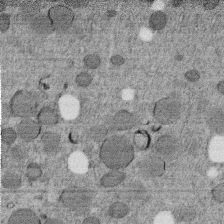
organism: C. elegans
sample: C. elegans embryo early stage